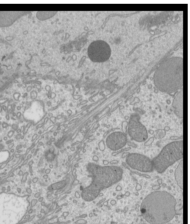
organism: Mouse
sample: Cilia; mouse epididymis